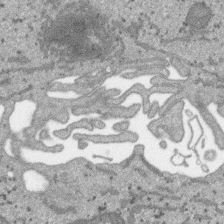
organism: Human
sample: Lung epithelial cells infected with SARS-CoV-2